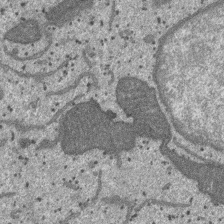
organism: Human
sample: Lung epithelial cells infected with SARS-CoV-2